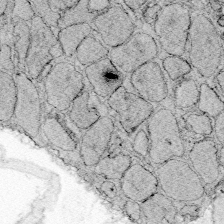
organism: Zebrafish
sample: Whole-Brain